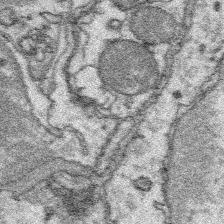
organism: Platynereis dumerilii